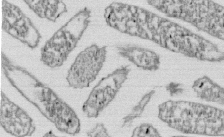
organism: E. coli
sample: Bacterial nucleoid